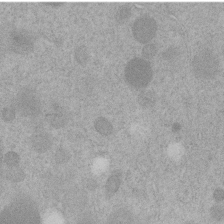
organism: C. elegans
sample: C. elegans embryo early stage